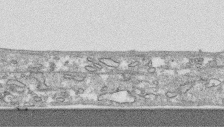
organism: Human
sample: CRL-1474